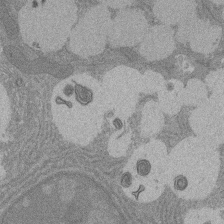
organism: Rat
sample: Salivary granule